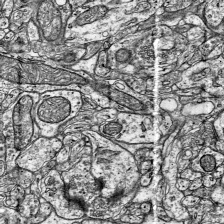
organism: Mouse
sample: Visual Cortex